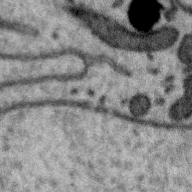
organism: Zebra finch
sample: Brain